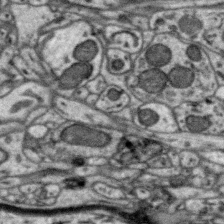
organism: Zebra finch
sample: Brain